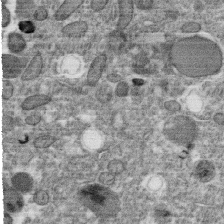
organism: C. elegans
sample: C. elegans oocyte; sperm cells